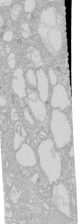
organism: Human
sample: Caco-2 cells